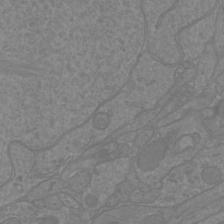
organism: Mouse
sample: Cortical neurons